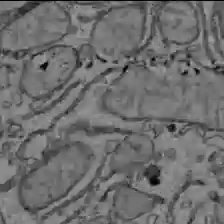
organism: C57BL Mouse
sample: Liver